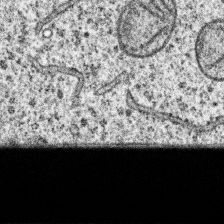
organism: Human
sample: HeLa cells